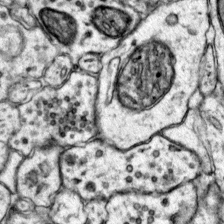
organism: Mouse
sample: Primary visual cortex